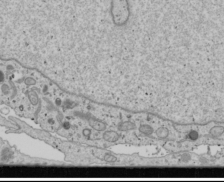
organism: Human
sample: Mitochondria in U2OS cells